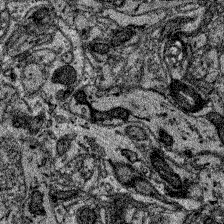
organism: Zebrafish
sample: Larval olfactory bulb